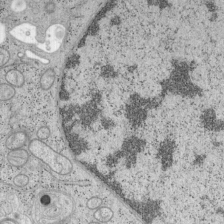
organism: Mouse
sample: OT-I killer T cells with ID8 ovarian cancer cells